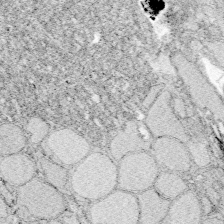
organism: Zebrafish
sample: Whole-Brain